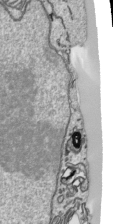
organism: Human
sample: Mitochondria in HCT116 cells